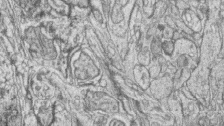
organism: Zebrafish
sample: synaptic ribbons in rod cells and cone cells